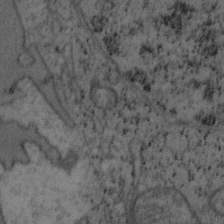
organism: Human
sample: HeLa cells